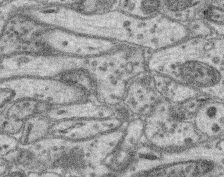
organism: Mouse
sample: Retina